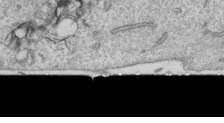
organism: Human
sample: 1205lu cells